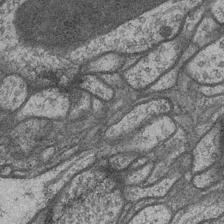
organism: Drosophila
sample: Optic medulla